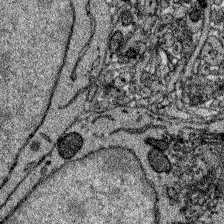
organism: Zebrafish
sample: Larval olfactory bulb